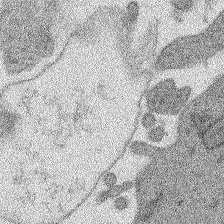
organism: Human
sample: HeLa cells